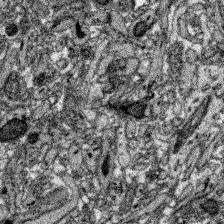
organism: Zebrafish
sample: Larval olfactory bulb